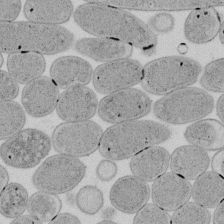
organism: E. coli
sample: Bacterial nucleoid